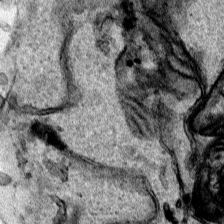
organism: Human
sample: Mitochondria in HCT116 cells